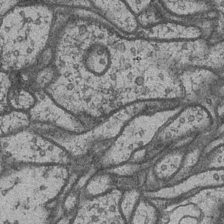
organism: Drosophila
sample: Optic medulla